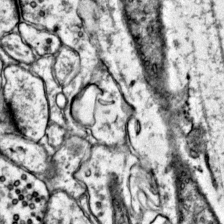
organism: Mouse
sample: Primary visual cortex